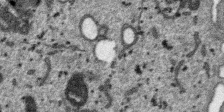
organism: Human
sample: Lung epithelial cells infected with SARS-CoV-2